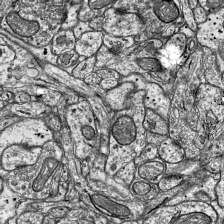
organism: Mouse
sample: Visual Cortex